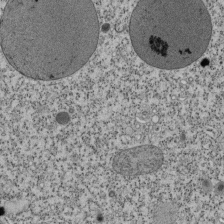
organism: Tetrahymena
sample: Cilia in tetrahymena